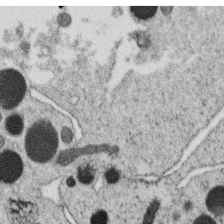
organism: C. elegans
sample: C. elegans oocyte; sperm cells